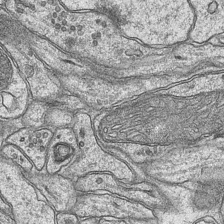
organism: Mouse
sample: CA1 Hippocampus